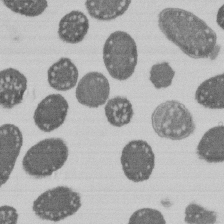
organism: E. coli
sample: Bacterial nucleoid